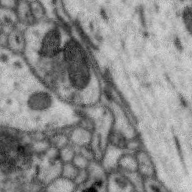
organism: Zebra finch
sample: Brain